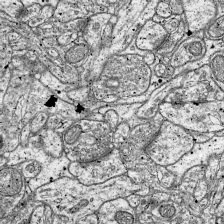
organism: Mouse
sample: Visual Cortex